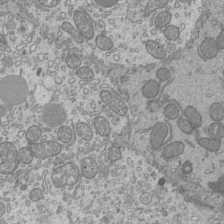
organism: Mouse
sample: Cilia; mouse epididymis